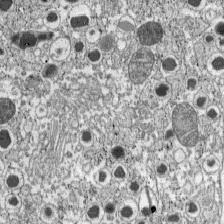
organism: C57BL Mouse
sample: Pancreatic islet